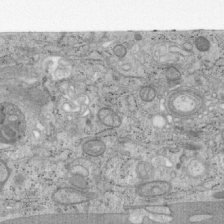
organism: Human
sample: HeLa cells